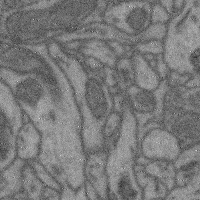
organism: Mouse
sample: Cerebral cortex